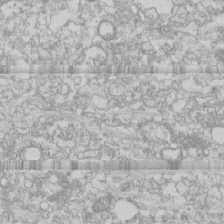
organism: Human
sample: CRL-1474